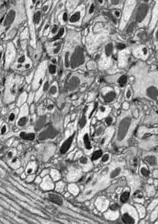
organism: Drosophila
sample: Optic lobe